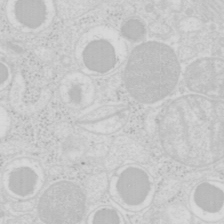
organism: Mouse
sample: Pancreas